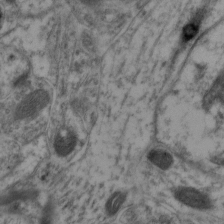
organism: Mouse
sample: Neocortex